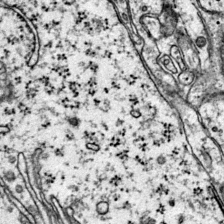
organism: Mouse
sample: Primary visual cortex